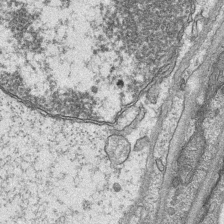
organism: Mouse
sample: CA1 Hippocampus